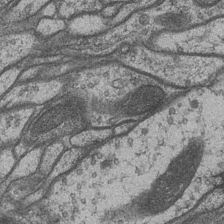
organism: Drosophila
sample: Optic medulla